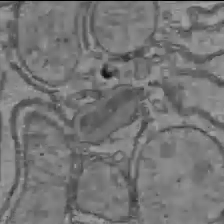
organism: C57BL Mouse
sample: Liver